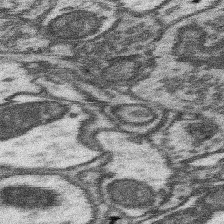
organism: Mouse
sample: Somatosensory cortex neuropil